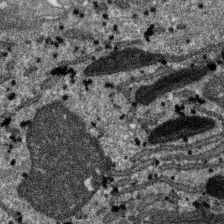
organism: Human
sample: Lung epithelial cells infected with SARS-CoV-2